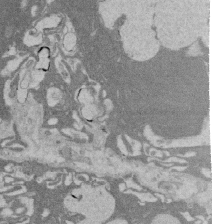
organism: Rat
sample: Salivary granule